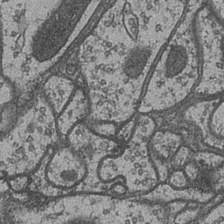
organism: Drosophila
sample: Optic medulla